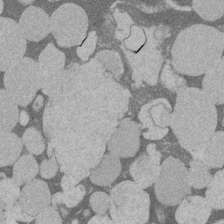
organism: Rat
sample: Salivary granule